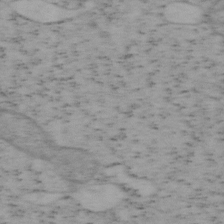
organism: Mouse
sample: OT-I killer T cells with ID8 ovarian cancer cells